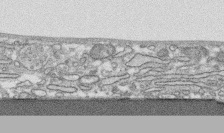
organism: Human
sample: CRL-1474